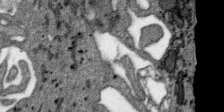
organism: Human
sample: Lung epithelial cells, uninfected (mock) control